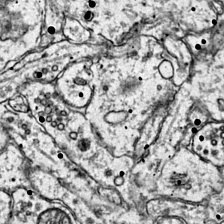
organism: Mouse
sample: Primary visual cortex